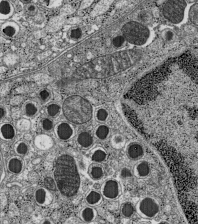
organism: C57BL Mouse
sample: Pancreatic islet